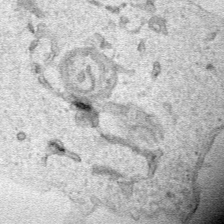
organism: Human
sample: Mitochondria in HCT116 cells